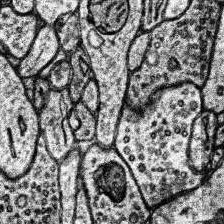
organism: Human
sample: Temporal Lobe